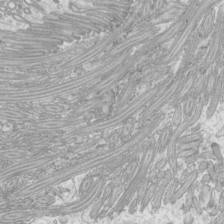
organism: Mouse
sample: Cilia; mouse epididymis